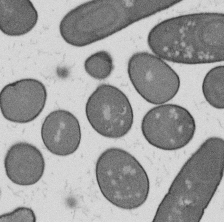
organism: B. subtilis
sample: Bacterial spore